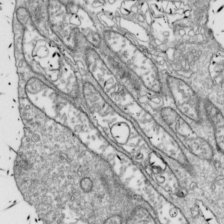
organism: Drosophila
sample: Cell division; meiosis; drosophila spermatocytes